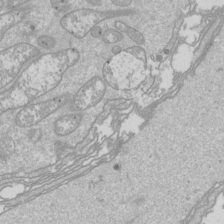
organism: Drosophila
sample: Cell division; meiosis; drosophila spermatocytes